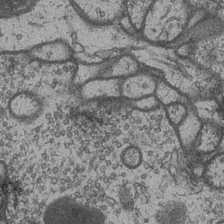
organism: Drosophila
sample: Optic medulla